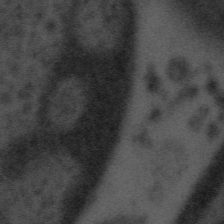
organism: Tuwongella immobilis